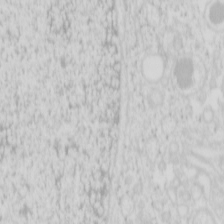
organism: Mouse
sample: Pancreas